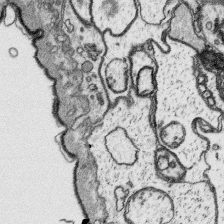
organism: Platynereis dumerilii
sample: Parapodia